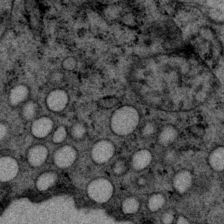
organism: P. pacificus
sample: Pharynx